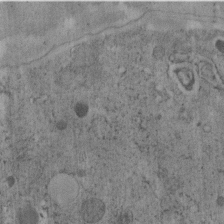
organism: C. elegans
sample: C. elegans embryo early stage